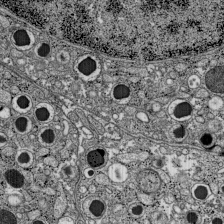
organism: C57BL Mouse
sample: Pancreatic islet